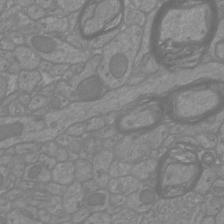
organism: Mouse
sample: Cortical neurons